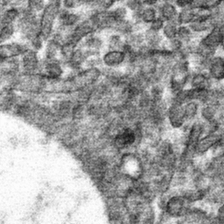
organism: Mouse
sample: Mouse hepatocytes